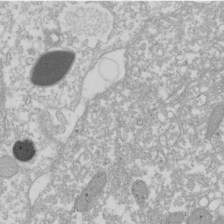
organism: Xenopus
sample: Cilia; centrioles in frog embryo cells